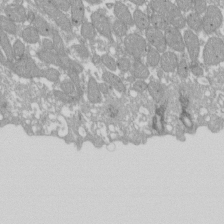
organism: Xenopus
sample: Cilia; centrioles in frog embryo cells